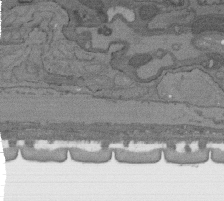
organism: C. elegans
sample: AFD neurons C. elegans